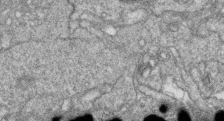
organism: Zebrafish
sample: Cilia; retinal pigment epithelium